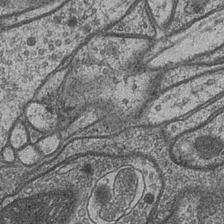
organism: Drosophila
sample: Optic medulla